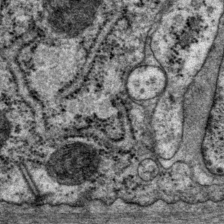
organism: P. pacificus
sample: Pharynx